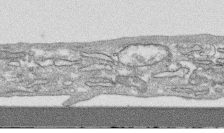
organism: Human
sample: CRL-1474